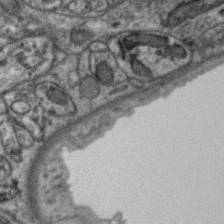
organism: Zebra finch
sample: Brain